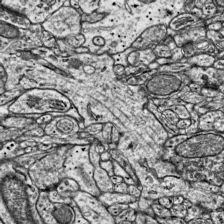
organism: Mouse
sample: Visual Cortex